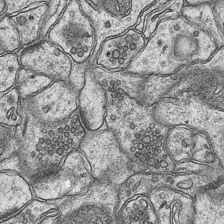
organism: Mouse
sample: CA1 Hippocampus